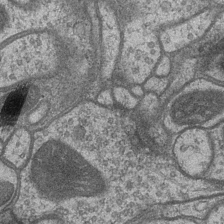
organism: Drosophila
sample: Optic medulla